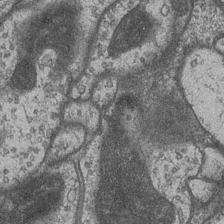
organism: Drosophila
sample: Optic medulla